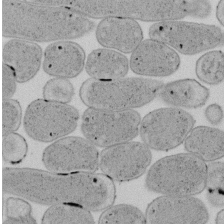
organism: E. coli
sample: Bacterial nucleoid